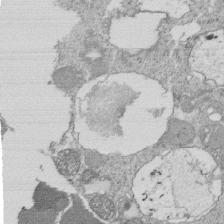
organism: Tetrahymena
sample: Cilia in tetrahymena